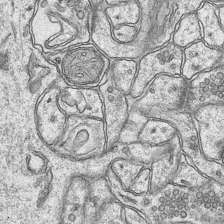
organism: Mouse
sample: CA1 Hippocampus